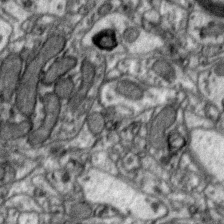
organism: Zebra finch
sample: Brain